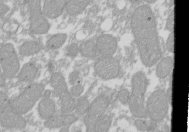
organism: Xenopus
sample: Cilia; centrioles in frog embryo cells